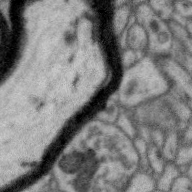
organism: Zebra finch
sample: Brain